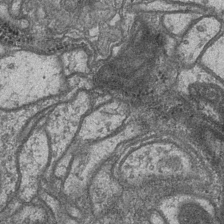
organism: Drosophila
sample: Optic medulla